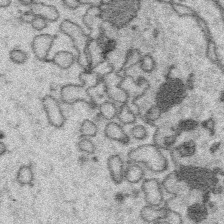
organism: Platynereis dumerilii